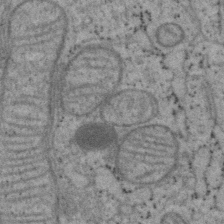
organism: Human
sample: HeLa cells